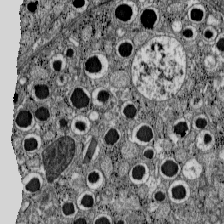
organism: C57BL Mouse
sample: Pancreatic islet